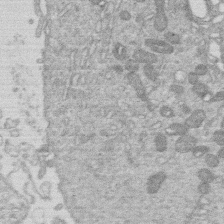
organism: Human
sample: Macrophage cells